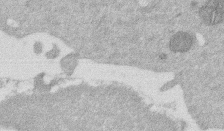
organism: Mouse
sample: Dividing mouse embryo 1 cell stage